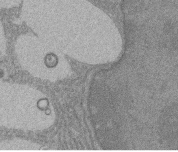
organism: Rat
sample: Salivary granule